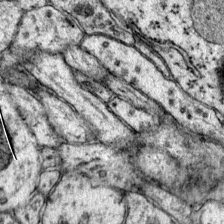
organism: Mouse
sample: Primary visual cortex